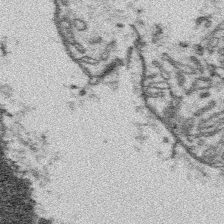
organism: Platynereis dumerilii